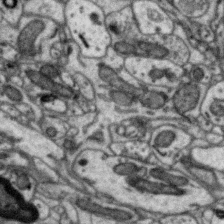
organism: Zebra finch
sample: Brain